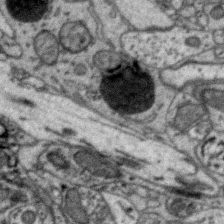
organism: Zebra finch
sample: Brain